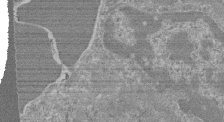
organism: Mouse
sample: Glomerulus